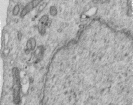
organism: Human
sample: Centriole in RPE cells